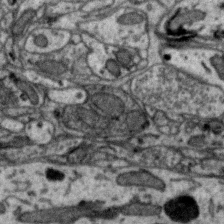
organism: Zebra finch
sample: Brain